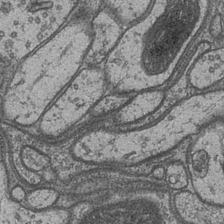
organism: Drosophila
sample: Optic medulla